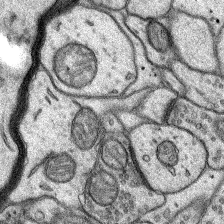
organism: Rat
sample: Hippocampus